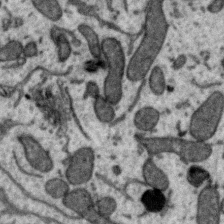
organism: Zebra finch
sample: Brain